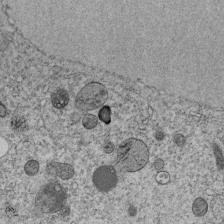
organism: C. elegans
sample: C. elegans embryo early stage